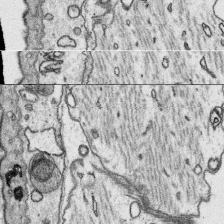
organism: Platynereis dumerilii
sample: Parapodia